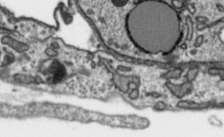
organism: Toxoplasma gondii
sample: Parasites in a vacuole inside a host cell